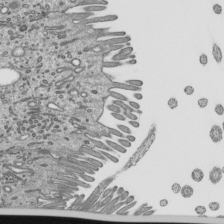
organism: Mouse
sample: Mouse epididymis efferent ductule cilia